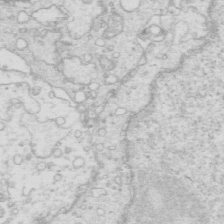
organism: Mouse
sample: Multiciliated cells